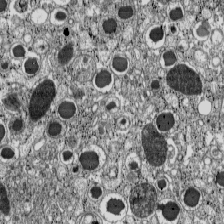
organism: C57BL Mouse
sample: Pancreatic islet